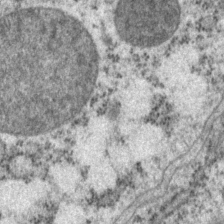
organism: P. pacificus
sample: Pharynx